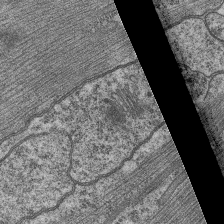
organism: C. elegans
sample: Pharynx